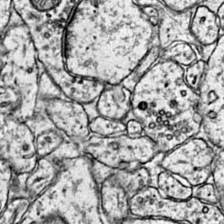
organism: Mouse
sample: Primary visual cortex